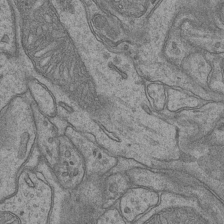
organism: Mouse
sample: CA1 Hippocampus